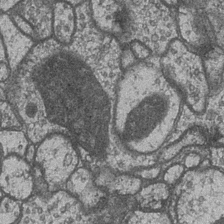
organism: Drosophila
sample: Optic medulla